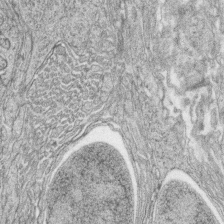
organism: Zebrafish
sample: synaptic ribbons in rod cells and cone cells